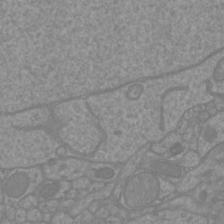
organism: Mouse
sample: Cortical neurons